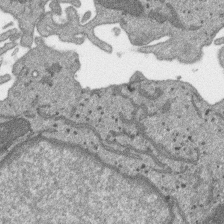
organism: Human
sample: Lung epithelial cells infected with SARS-CoV-2